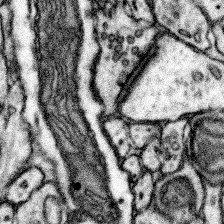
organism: Mouse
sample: Somatosensory cortex neuropil